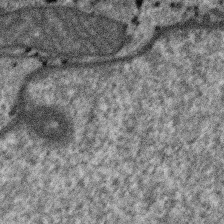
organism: Human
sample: Lung epithelial cells infected with SARS-CoV-2